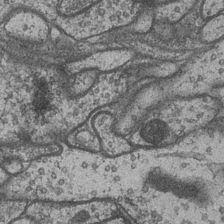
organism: Drosophila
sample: Optic medulla